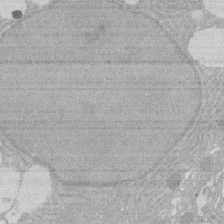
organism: Rat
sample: Salivary granule